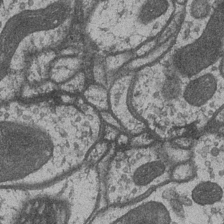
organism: Drosophila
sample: Optic medulla